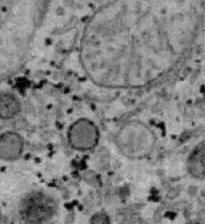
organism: Mouse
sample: Liver from an obese (ob/ob) mouse